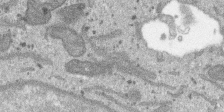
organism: Human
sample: Lung epithelial cells infected with SARS-CoV-2